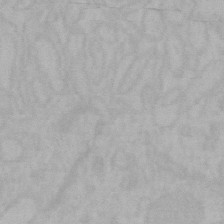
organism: Mouse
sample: Choroid plexus